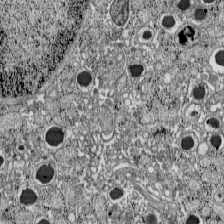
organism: C57BL Mouse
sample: Pancreatic islet